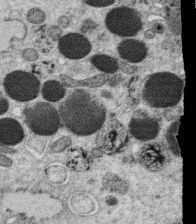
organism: C. elegans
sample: C. elegans oocyte; sperm cells